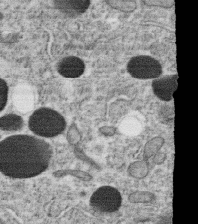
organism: C. elegans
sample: C. elegans oocyte; sperm cells